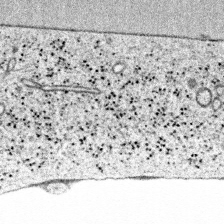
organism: Human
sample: HeLa cells